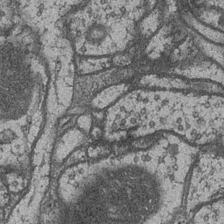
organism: Drosophila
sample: Optic medulla